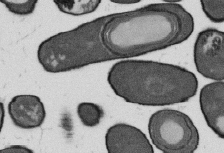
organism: B. subtilis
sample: Bacterial spore